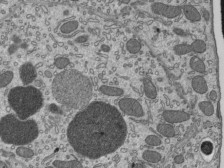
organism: Mouse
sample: Mouse epididymis efferent ductule cilia